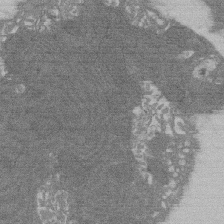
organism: Rat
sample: Salivary granule